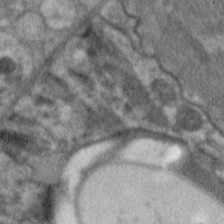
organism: C. elegans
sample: Pharynx